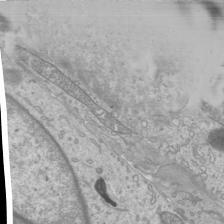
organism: Mouse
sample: Cilia; mouse epididymis